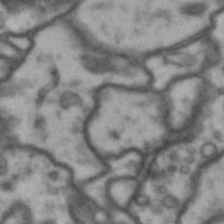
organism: Drosophila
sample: Brain